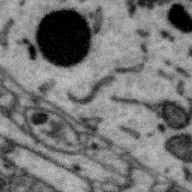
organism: Zebra finch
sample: Brain